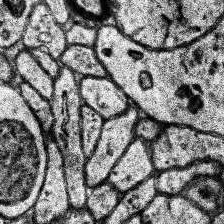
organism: Human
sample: Temporal Lobe